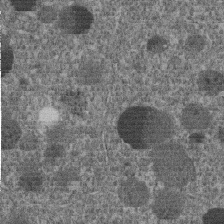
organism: C. elegans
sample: C. elegans embryo early stage